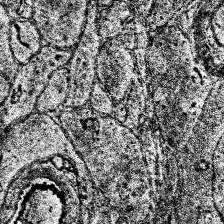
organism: Human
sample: Temporal Lobe